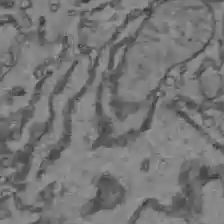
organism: C57BL Mouse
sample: Liver